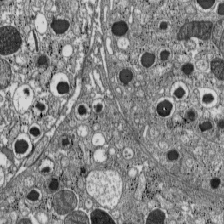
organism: C57BL Mouse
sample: Pancreatic islet